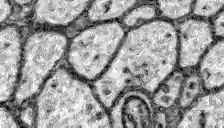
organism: Zebrafish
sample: Brain